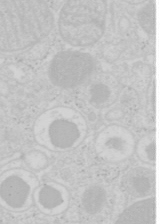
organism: Mouse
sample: Pancreas